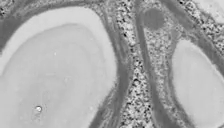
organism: Chlamydomonas reinhardtii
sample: Whole Cell